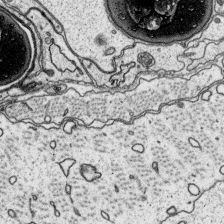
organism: Platynereis dumerilii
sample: Parapodia